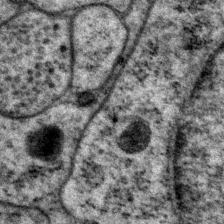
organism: P. pacificus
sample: Pharynx